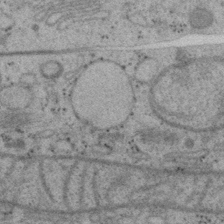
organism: Human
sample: HeLa cells